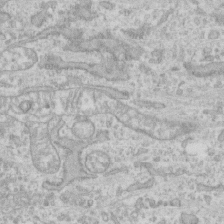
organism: Human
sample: CRL-1474